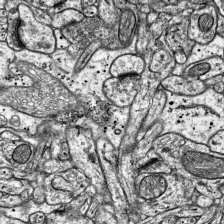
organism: Mouse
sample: Visual Cortex